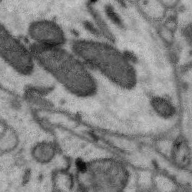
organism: Zebra finch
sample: Brain